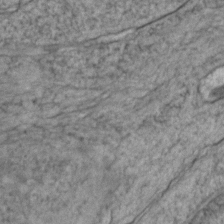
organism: Zebrafish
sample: Zebrafish embryo